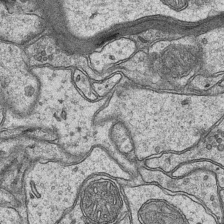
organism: Mouse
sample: CA1 Hippocampus